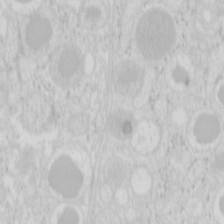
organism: Mouse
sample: Pancreas